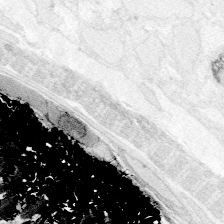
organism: Zebrafish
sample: Whole-Brain